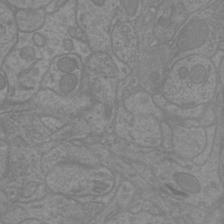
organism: Mouse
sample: Cortical neurons